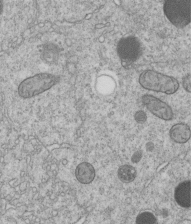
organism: C. elegans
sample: C. elegans embryo early stage